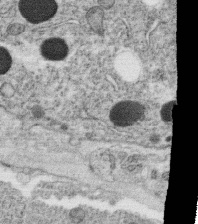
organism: C. elegans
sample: C. elegans oocyte; sperm cells